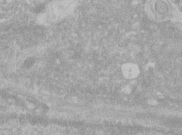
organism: Human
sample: Centriole in RPE cells